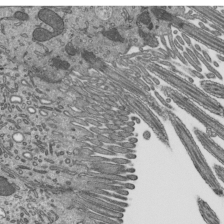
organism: Mouse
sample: Mouse epididymis efferent ductule cilia